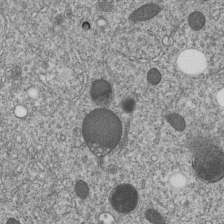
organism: C. elegans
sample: C. elegans embryo early stage